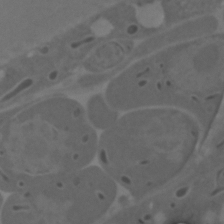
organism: C. elegans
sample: C. elegans embryo